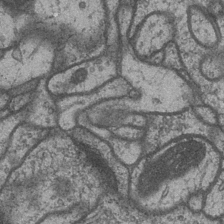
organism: Drosophila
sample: Optic medulla